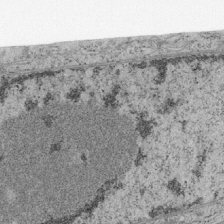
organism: Human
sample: HeLa cells